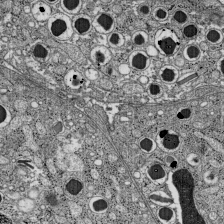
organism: C57BL Mouse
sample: Pancreatic islet